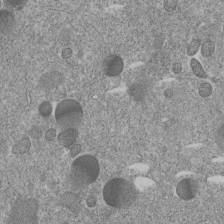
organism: C. elegans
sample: C. elegans embryo early stage